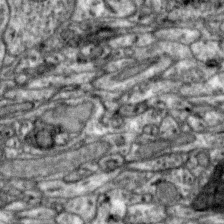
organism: Zebra finch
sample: Brain